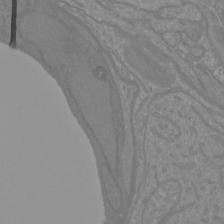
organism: Mouse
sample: Cortical neurons